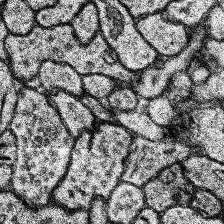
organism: Human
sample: Temporal Lobe